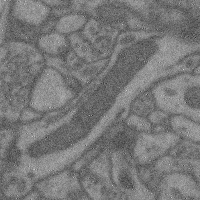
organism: Mouse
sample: Cerebral cortex